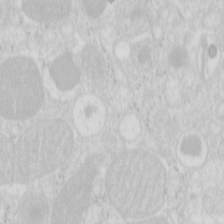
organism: Mouse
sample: Pancreas